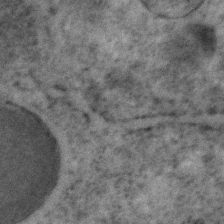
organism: C. elegans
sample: C. elegans embryo